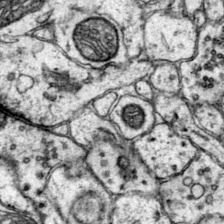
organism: Mouse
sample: Primary visual cortex